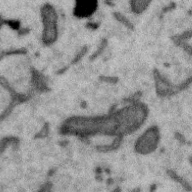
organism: Zebra finch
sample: Brain